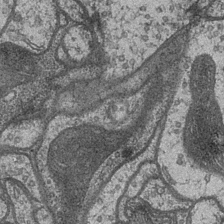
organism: Drosophila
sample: Optic medulla